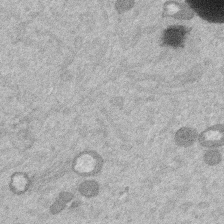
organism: Mouse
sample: Dividing mouse embryo 1 cell stage